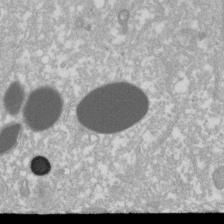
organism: Xenopus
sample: Cilia; centrioles in frog embryo cells